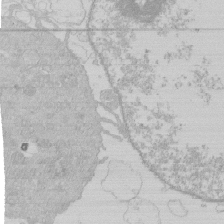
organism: Human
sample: Macrophage cells